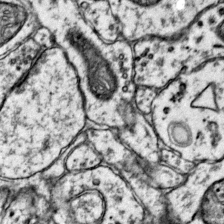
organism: Mouse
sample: Primary visual cortex